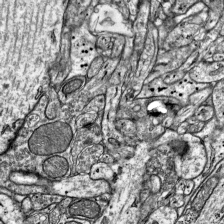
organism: Mouse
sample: Visual Cortex